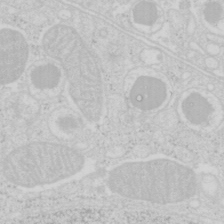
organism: Mouse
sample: Pancreas